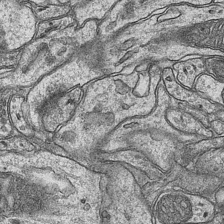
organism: Mouse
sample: CA1 Hippocampus